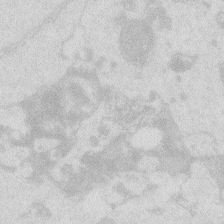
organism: Zebrafish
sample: Macrophage